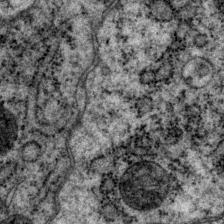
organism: P. pacificus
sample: Pharynx